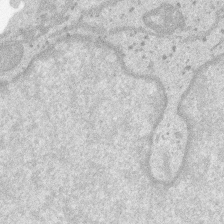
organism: Human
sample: Lung epithelial cells infected with SARS-CoV-2